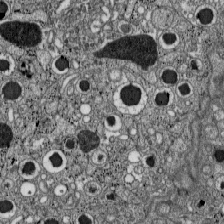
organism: C57BL Mouse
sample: Pancreatic islet